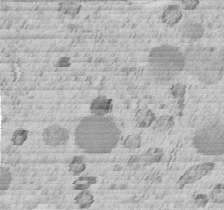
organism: C. elegans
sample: C. elegans embryo early stage